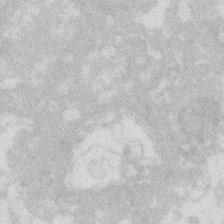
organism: Zebrafish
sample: Macrophage